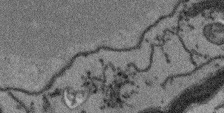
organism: Arabidopsis thaliana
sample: Root tip